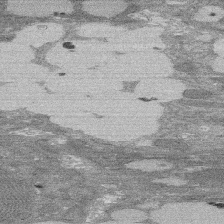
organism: Rat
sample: Salivary granule